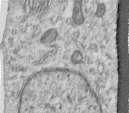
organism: Human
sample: Centriole in RPE cells